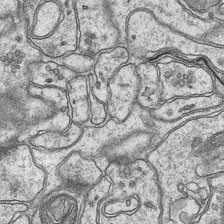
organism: Mouse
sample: CA1 Hippocampus